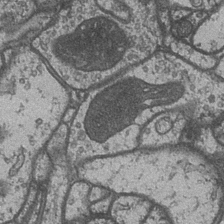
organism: Drosophila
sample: Optic medulla